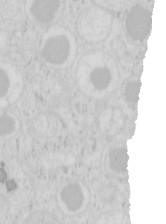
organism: Mouse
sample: Pancreas